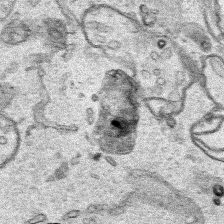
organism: Human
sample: Mitochondria in HCT116 cells